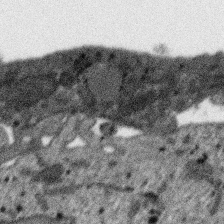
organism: Human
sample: Lung epithelial cells infected with SARS-CoV-2